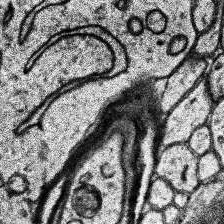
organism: Human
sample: Temporal Lobe